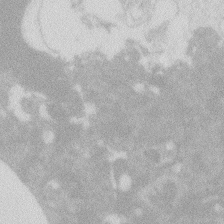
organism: Zebrafish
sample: Macrophage